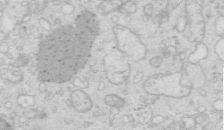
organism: Mouse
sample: Multiciliated cells